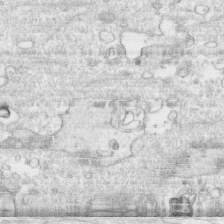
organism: Human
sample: CRL-1474